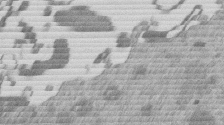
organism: Mouse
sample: Dividing mouse embryo 1 cell stage